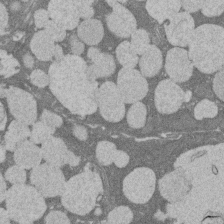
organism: Rat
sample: Salivary granule